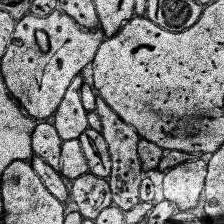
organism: Human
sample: Temporal Lobe